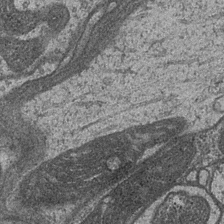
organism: Drosophila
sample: Optic medulla